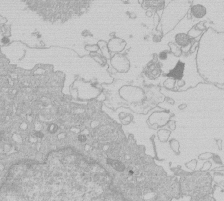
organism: Human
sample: Macrophage cells